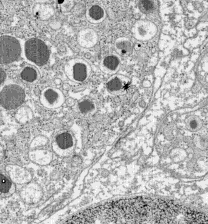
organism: C57BL Mouse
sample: Pancreatic islet